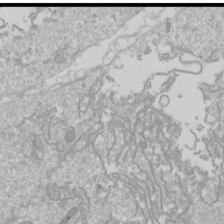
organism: Drosophila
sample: Cell division; meiosis; drosophila spermatocytes